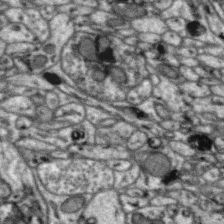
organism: Zebra finch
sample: Brain